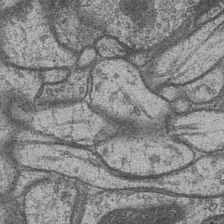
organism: Drosophila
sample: Optic medulla